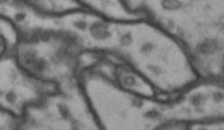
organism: Drosophila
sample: Brain